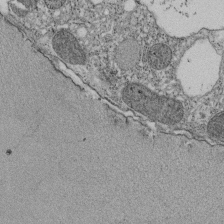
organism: Tetrahymena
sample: Cilia in tetrahymena